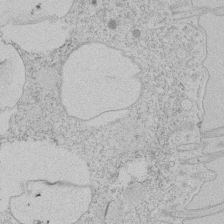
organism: Tetrahymena